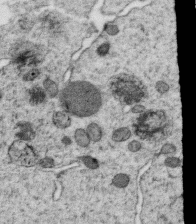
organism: C. elegans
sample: C. elegans oocyte; sperm cells